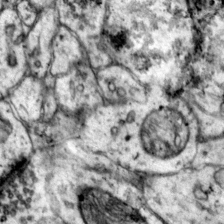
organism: Mouse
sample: Primary visual cortex